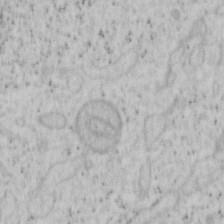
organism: Human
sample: HeLa cells